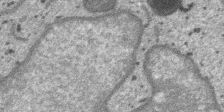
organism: Human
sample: Lung epithelial cells infected with SARS-CoV-2